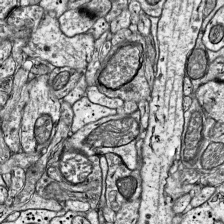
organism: Mouse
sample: Visual Cortex